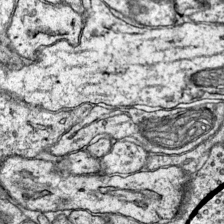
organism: Mouse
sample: Primary visual cortex